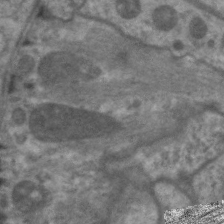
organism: C. elegans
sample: Pharynx